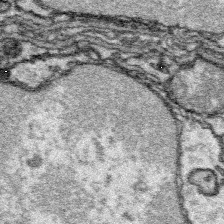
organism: Platynereis dumerilii